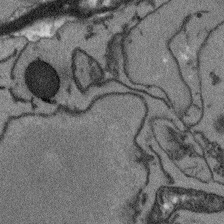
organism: Arabidopsis thaliana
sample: Root tip